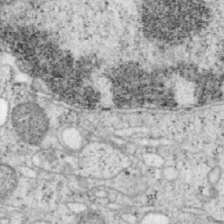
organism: Mouse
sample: OT-I killer T cells with ID8 ovarian cancer cells